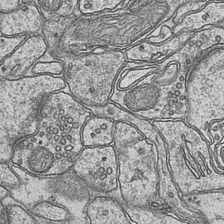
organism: Mouse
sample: CA1 Hippocampus